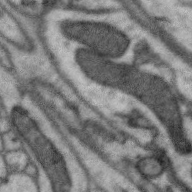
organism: Zebra finch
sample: Brain